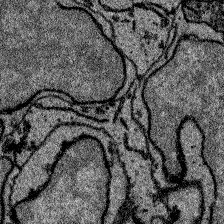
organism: Zebrafish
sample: Larval olfactory bulb